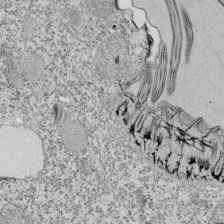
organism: Tetrahymena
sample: Cilia in tetrahymena